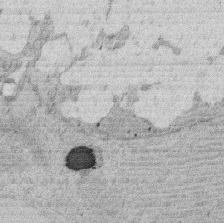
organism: Rat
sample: Salivary granule